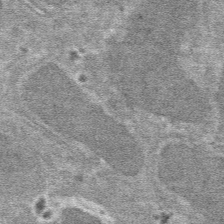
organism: Mouse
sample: Mouse hepatocytes